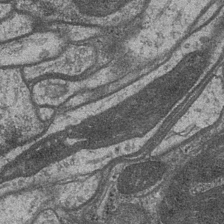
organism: Drosophila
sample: Optic medulla